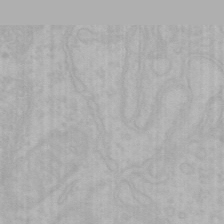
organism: Mouse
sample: Choroid plexus